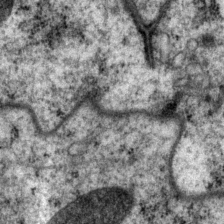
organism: P. pacificus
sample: Pharynx